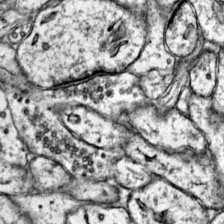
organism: Mouse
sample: Primary visual cortex